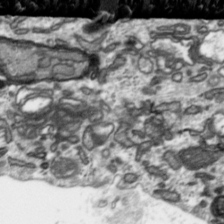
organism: Toxoplasma gondii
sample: Parasites in a vacuole inside a host cell